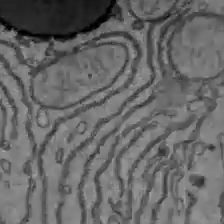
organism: C57BL Mouse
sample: Liver